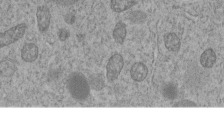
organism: C. elegans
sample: C. elegans embryo early stage